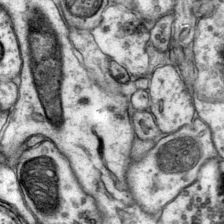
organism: Mouse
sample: Primary visual cortex